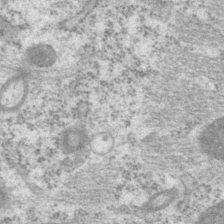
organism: P. pacificus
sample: Pharynx